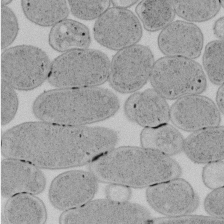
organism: E. coli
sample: Bacterial nucleoid